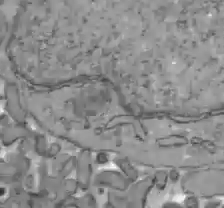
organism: C57BL Mouse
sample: Liver